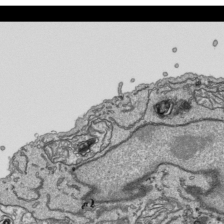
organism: Human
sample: Mitochondria in HCT116 cells